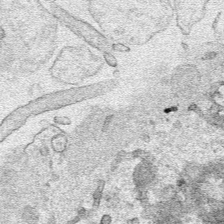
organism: Human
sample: Mitochondria in HCT116 cells